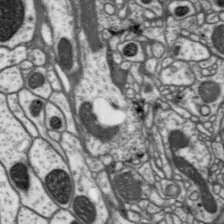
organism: Drosophila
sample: Protocerebral bridge